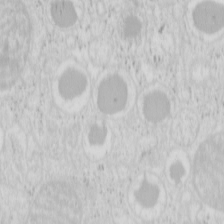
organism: Mouse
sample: Pancreas